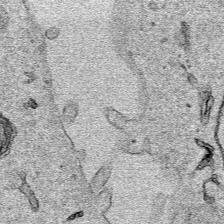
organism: Human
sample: Mitochondria in HCT116 cells